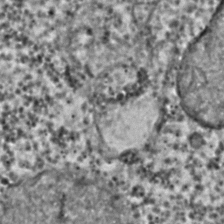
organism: C. elegans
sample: C. elegans embryo